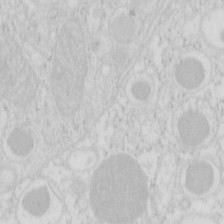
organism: Mouse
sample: Pancreas